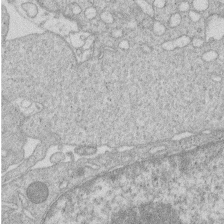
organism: Human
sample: Macrophage cells